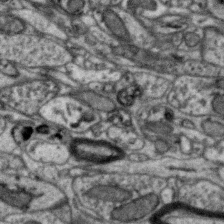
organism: Zebra finch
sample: Brain